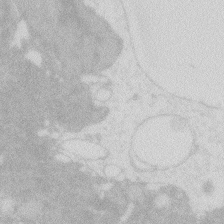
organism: Zebrafish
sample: Macrophage